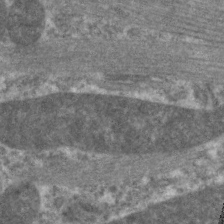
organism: C. elegans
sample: Pharynx